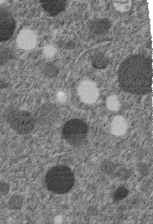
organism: C. elegans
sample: C. elegans embryo early stage